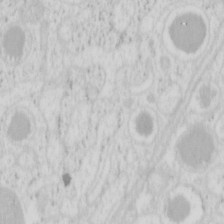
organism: Mouse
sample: Pancreas